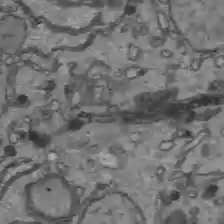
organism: C57BL Mouse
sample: Liver